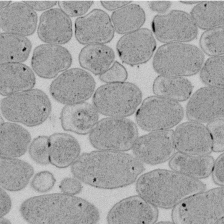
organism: E. coli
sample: Bacterial nucleoid